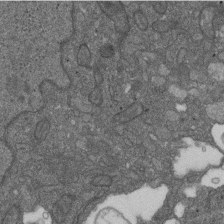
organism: Drosophila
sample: Nephrocyte